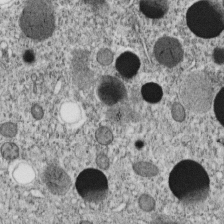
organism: C. elegans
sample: C. elegans embryo early stage